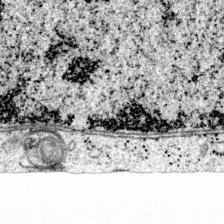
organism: Human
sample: HeLa cells